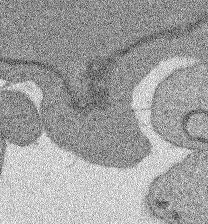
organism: Human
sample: HeLa cells